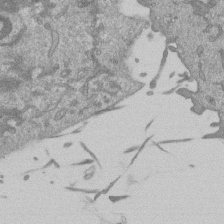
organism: Mouse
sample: ED-1 cell nuclei; centrioles